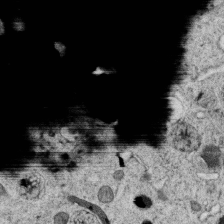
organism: C. elegans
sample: C. elegans oocyte; sperm cells